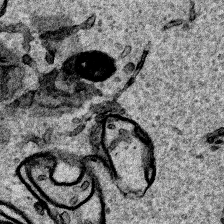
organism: Human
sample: Mitochondria in HCT116 cells